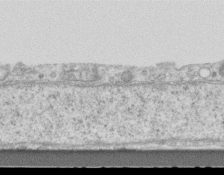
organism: Mouse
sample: Centriole in ependymal cells